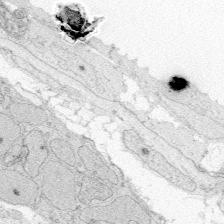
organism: Zebrafish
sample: Whole-Brain